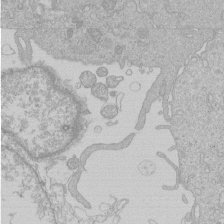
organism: Human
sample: Macrophage cells